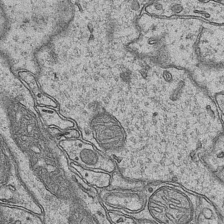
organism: Mouse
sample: CA1 Hippocampus